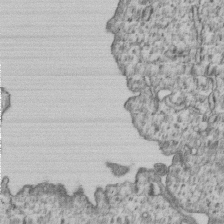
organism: Human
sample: MDA-MB-231 cells